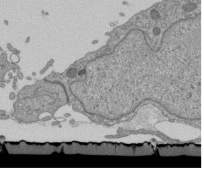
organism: Mouse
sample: ED-1 cell nuclei; centrioles